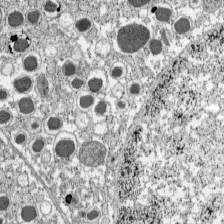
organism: C57BL Mouse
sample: Pancreatic islet